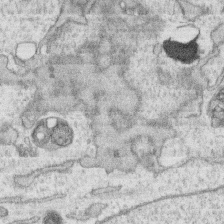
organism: Human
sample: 1205lu cells